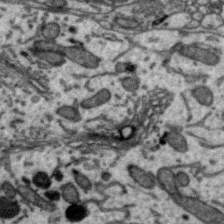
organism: Zebra finch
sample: Brain